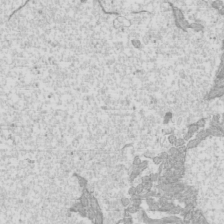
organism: Mouse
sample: Cilia; mouse epididymis